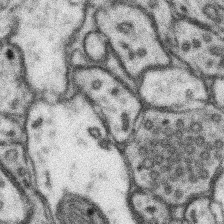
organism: Mouse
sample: Somatosensory cortex neuropil